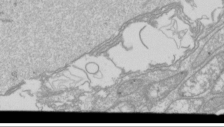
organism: Drosophila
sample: Cell division; meiosis; drosophila spermatocytes